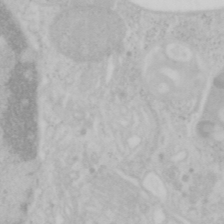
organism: Mouse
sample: OT-I killer T cells with ID8 ovarian cancer cells